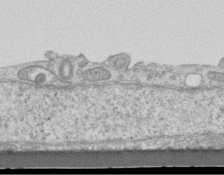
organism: Mouse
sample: Centriole in ependymal cells